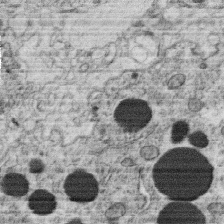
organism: C. elegans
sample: C. elegans oocyte; sperm cells